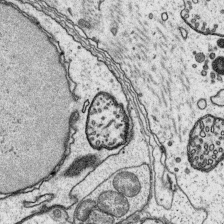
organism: Platynereis dumerilii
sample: Parapodia